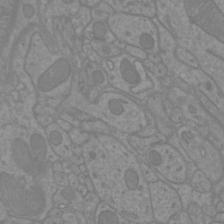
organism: Mouse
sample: Cortical neurons